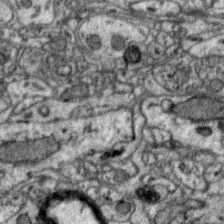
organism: Zebra finch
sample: Brain